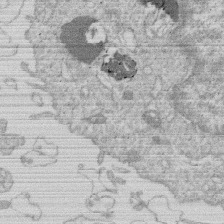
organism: Human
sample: Macrophage cells